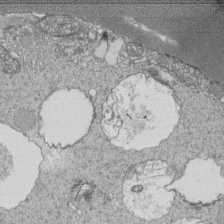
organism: Tetrahymena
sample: Cilia in tetrahymena